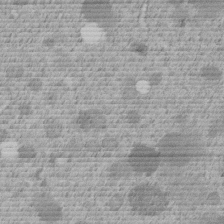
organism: C. elegans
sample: C. elegans embryo early stage